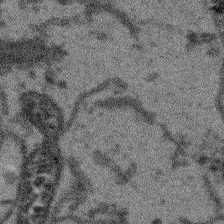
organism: Arabidopsis thaliana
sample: Root tip